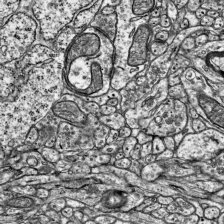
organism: Mouse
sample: Visual Cortex